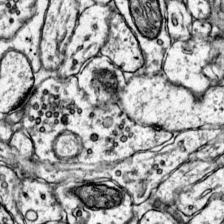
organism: Mouse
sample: Primary visual cortex